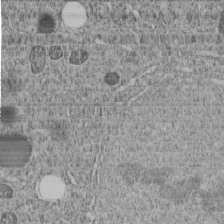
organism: C. elegans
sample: C. elegans embryo early stage